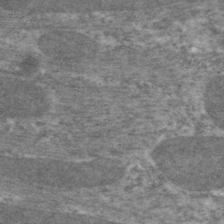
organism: C. elegans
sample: Pharynx